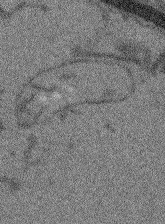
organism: Arabidopsis thaliana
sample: Root tip